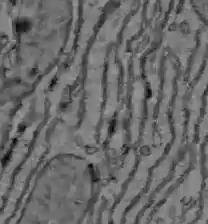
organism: C57BL Mouse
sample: Liver